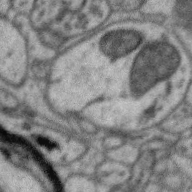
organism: Zebra finch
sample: Brain